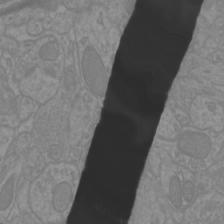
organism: Mouse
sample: Cortical neurons